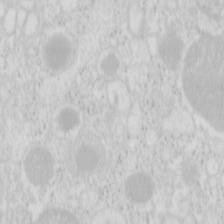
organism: Mouse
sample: Pancreas